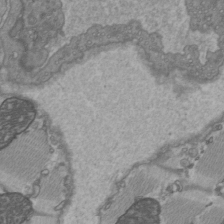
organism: C57BL Mouse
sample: Heart